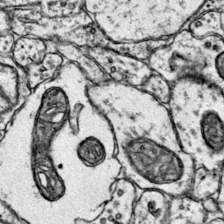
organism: Mouse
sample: Primary visual cortex